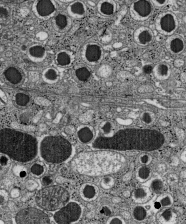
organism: C57BL Mouse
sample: Pancreatic islet